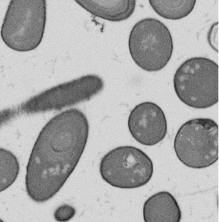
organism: B. subtilis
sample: Bacterial spore